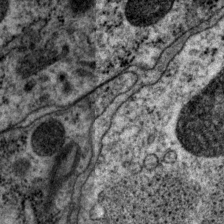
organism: P. pacificus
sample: Pharynx